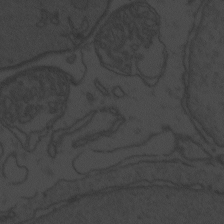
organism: Zebrafish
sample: Macrophage infected with Toxoplasma gondii